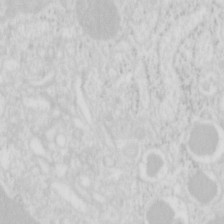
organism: Mouse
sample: Pancreas